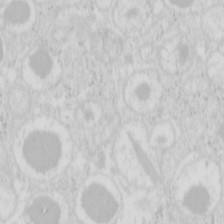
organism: Mouse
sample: Pancreas